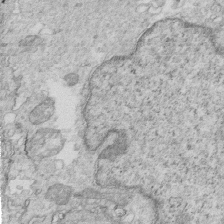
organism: Mouse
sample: Multiciliated cells